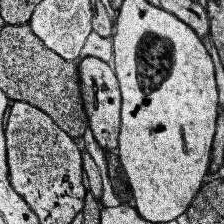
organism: Human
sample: Temporal Lobe